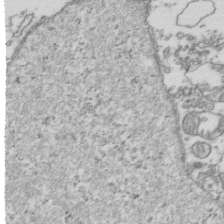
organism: Human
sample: Activated Jurkat CD4+ T cells